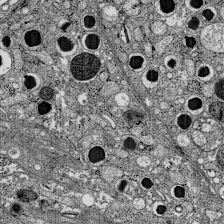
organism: C57BL Mouse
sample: Pancreatic islet